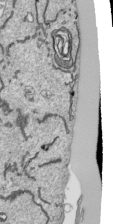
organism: Human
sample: Mitochondria in HCT116 cells